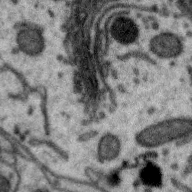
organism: Zebra finch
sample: Brain